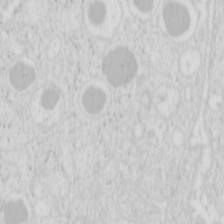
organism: Mouse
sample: Pancreas